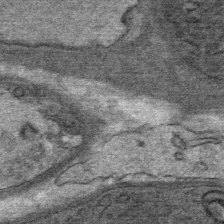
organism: Mouse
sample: Mouse Salivary gland